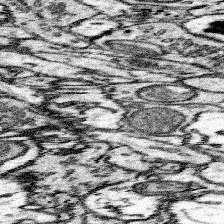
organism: Mouse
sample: Somatosensory cortex neuropil